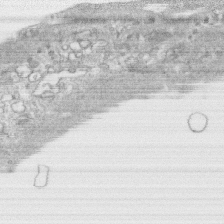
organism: Human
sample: CRL-1474